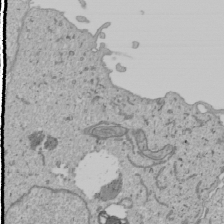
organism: Human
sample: Mitochondria in U2OS cells